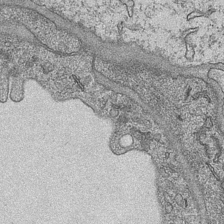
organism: Mouse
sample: CA1 Hippocampus